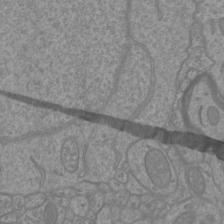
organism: Mouse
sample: Cortical neurons